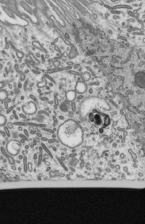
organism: Mouse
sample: Mouse epididymis efferent ductule cilia